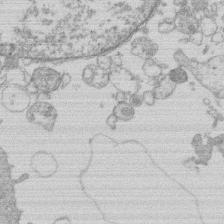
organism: Human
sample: Macrophage cells